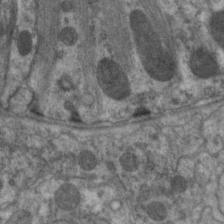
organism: C. elegans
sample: Pharynx